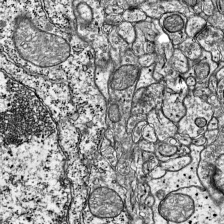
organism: Mouse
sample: Visual Cortex